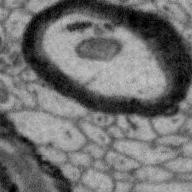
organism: Zebra finch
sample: Brain